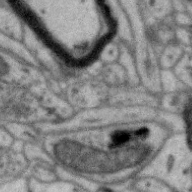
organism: Zebra finch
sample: Brain